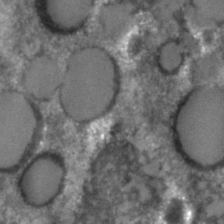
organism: C. elegans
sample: C. elegans embryo